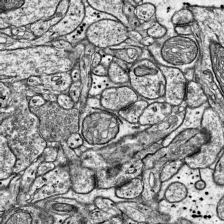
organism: Mouse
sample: Visual Cortex